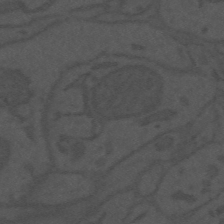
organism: Mouse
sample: Suprachiasmatic nucleus